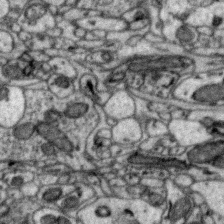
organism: Zebra finch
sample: Brain